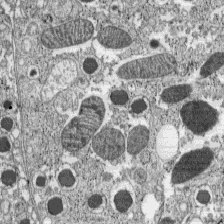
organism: C57BL Mouse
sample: Pancreatic islet